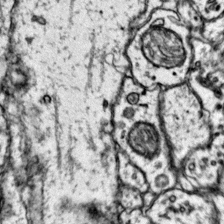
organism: Mouse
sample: Primary visual cortex